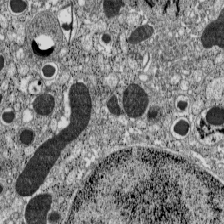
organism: C57BL Mouse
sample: Pancreatic islet